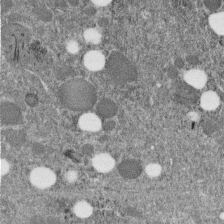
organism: C. elegans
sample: C. elegans embryo early stage